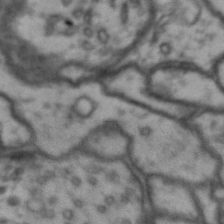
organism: Drosophila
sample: Brain